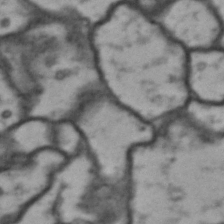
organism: Drosophila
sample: Brain